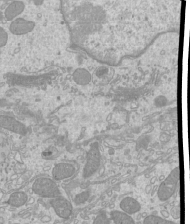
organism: Mouse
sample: Cilia; mouse epididymis